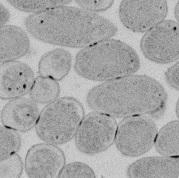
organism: E. coli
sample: Bacterial nucleoid